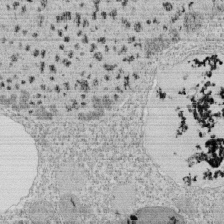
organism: Tetrahymena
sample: Cilia in tetrahymena